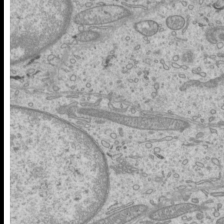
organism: Mouse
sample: Cilia; mouse epididymis